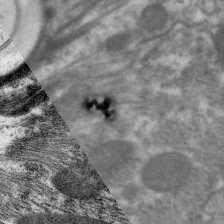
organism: C. elegans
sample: Pharynx